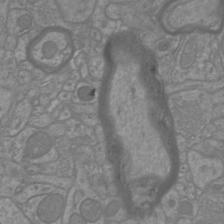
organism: Mouse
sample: Cortical neurons